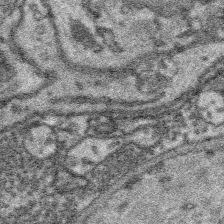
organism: Platynereis dumerilii